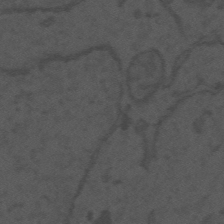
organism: Mouse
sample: Suprachiasmatic nucleus